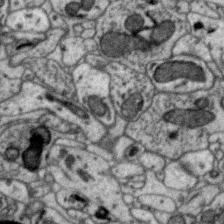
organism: Zebra finch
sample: Brain